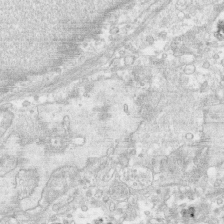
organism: Human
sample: CRL-1474